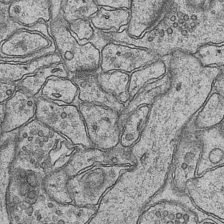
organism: Mouse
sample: CA1 Hippocampus